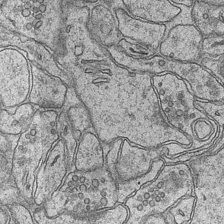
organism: Mouse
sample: CA1 Hippocampus